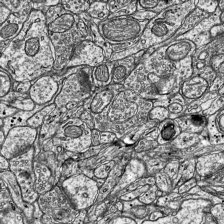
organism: Mouse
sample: Visual Cortex